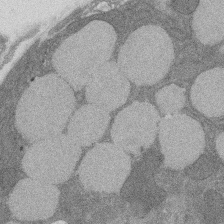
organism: Rat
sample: Salivary granule